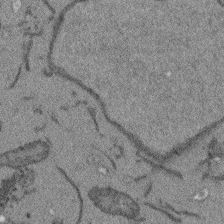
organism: Arabidopsis thaliana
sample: Root tip